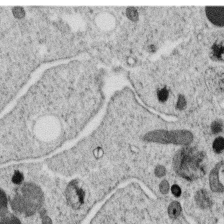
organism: C. elegans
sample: C. elegans oocyte; sperm cells